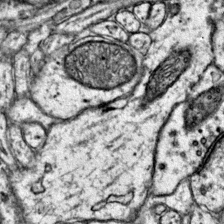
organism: Mouse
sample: Primary visual cortex